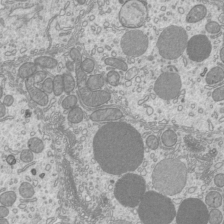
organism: Mouse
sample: Cilia; mouse epididymis